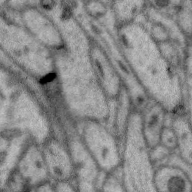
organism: Zebra finch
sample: Brain